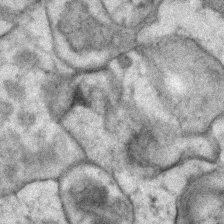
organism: Human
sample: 1205lu cells